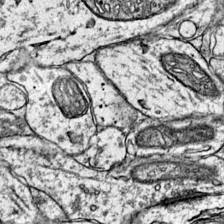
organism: Mouse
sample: Primary visual cortex